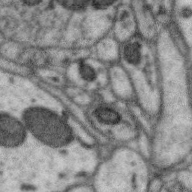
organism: Zebra finch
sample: Brain